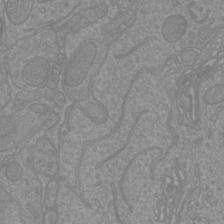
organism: Mouse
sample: Cortical neurons